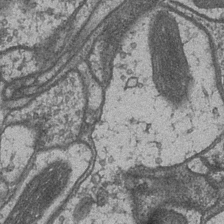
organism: Drosophila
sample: Optic medulla